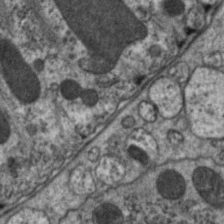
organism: C. elegans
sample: Pharynx